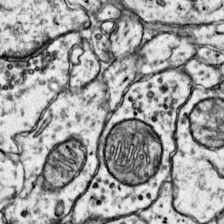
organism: Mouse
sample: Primary visual cortex